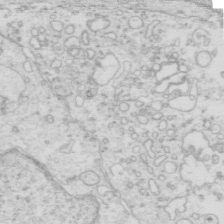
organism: Mouse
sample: Multiciliated cells